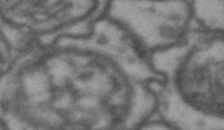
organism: Drosophila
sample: Brain